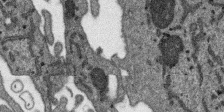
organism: Human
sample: Lung epithelial cells infected with SARS-CoV-2